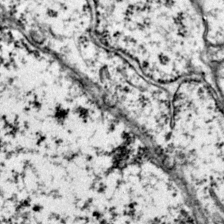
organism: Mouse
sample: Primary visual cortex